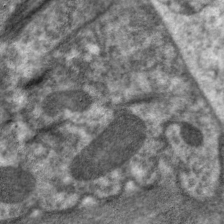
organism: C. elegans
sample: Pharynx